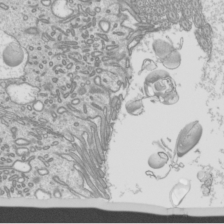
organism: Mouse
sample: Cilia; mouse epididymis